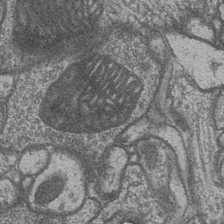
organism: Drosophila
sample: Optic medulla